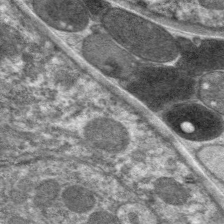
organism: C. elegans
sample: Pharynx